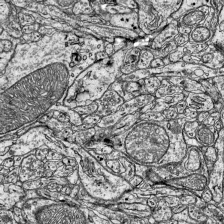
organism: Mouse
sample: Visual Cortex